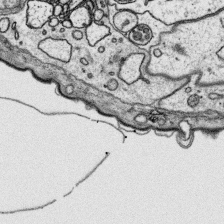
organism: Platynereis dumerilii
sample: Parapodia